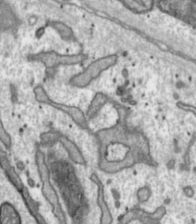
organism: Toxoplasma gondii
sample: Parasites in a vacuole inside a host cell